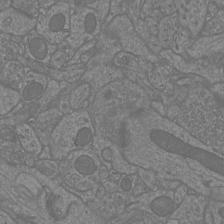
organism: Mouse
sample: Cortical neurons